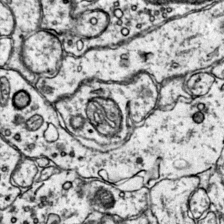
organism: Mouse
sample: Primary visual cortex